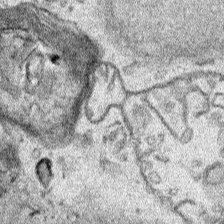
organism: Human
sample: Mitochondria in HCT116 cells